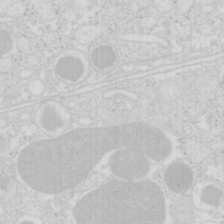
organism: Mouse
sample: Pancreas